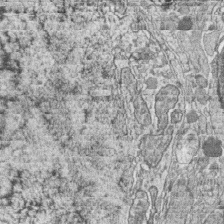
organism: Zebrafish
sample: synaptic ribbons in rod cells and cone cells